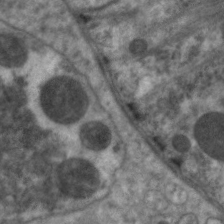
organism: C. elegans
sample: Pharynx